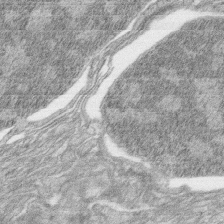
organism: Zebrafish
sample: synaptic ribbons in rod cells and cone cells